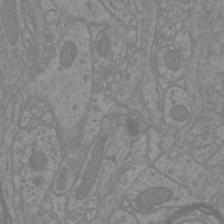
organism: Mouse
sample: Cortical neurons